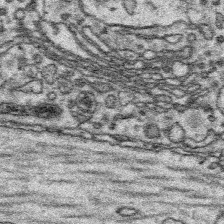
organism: Platynereis dumerilii